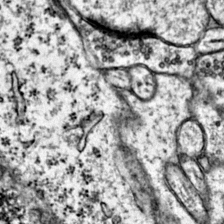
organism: Mouse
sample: Primary visual cortex